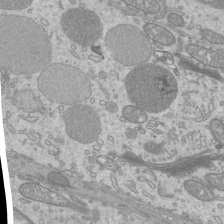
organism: Mouse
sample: Cilia; mouse epididymis